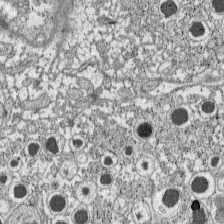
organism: C57BL Mouse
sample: Pancreatic islet